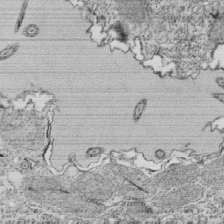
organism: Tetrahymena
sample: Cilia in tetrahymena